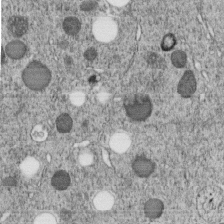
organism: C. elegans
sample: C. elegans embryo early stage